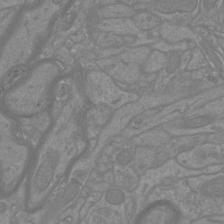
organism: Mouse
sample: Cortical neurons